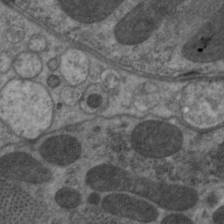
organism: C. elegans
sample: Pharynx